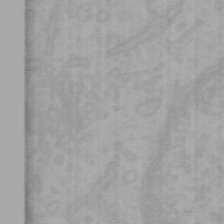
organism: Mouse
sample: Choroid plexus